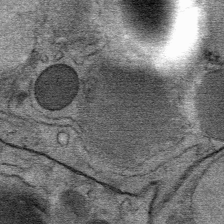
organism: Mouse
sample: Mouse Salivary gland